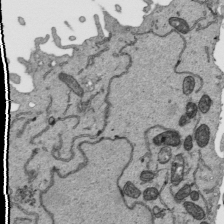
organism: Human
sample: Mitochondria in HCT116 cells